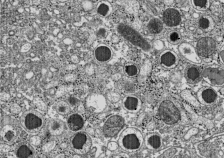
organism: C57BL Mouse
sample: Pancreatic islet